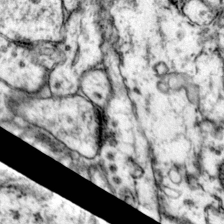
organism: Mouse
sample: Primary visual cortex